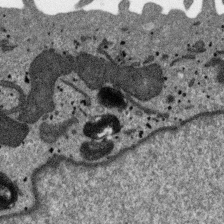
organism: Human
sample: Lung epithelial cells, uninfected (mock) control